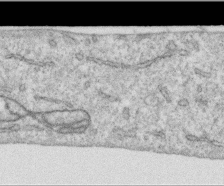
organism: Human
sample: Centriole in RPE cells